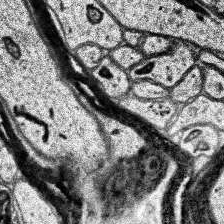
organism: Human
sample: Temporal Lobe